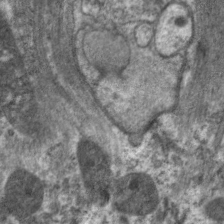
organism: C. elegans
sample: Pharynx